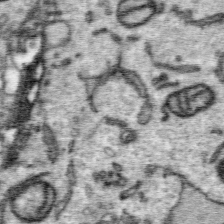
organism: Human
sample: HeLa cells